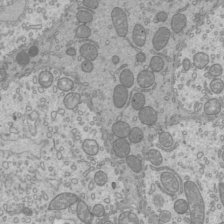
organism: Mouse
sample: Cilia; mouse epididymis